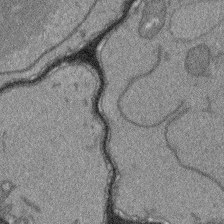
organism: Arabidopsis thaliana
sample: Root tip